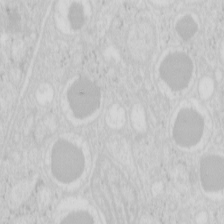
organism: Mouse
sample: Pancreas